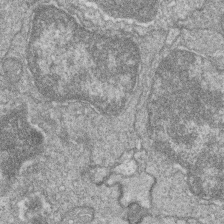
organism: Zebrafish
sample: Cilia; retinal pigment epithelium